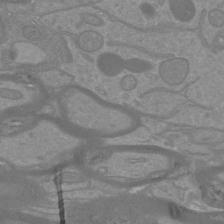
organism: Mouse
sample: Cortical neurons